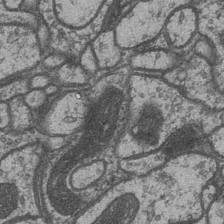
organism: Drosophila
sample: Optic medulla